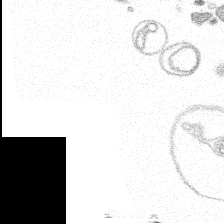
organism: Spongilla lacustris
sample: Multiple